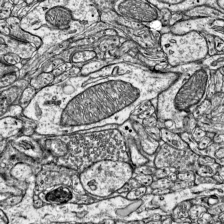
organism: Mouse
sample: Visual Cortex